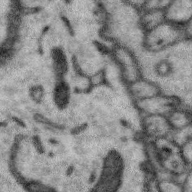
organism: Zebra finch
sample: Brain